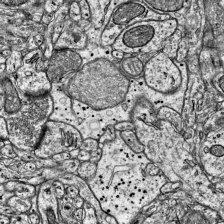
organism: Mouse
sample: Visual Cortex